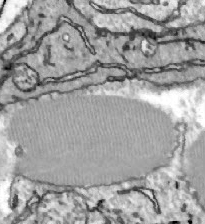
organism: Zebrafish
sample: Actinotrichia fibers